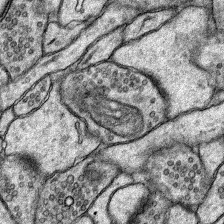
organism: Rat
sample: Hippocampus